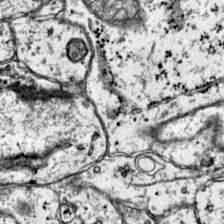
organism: Mouse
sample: Primary visual cortex